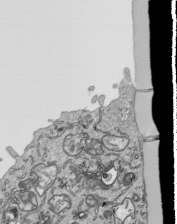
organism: Human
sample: Mitochondria in HCT116 cells